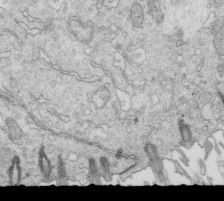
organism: Mouse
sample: Multiciliated cells